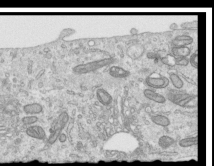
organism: Human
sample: Centriole in RPE cells